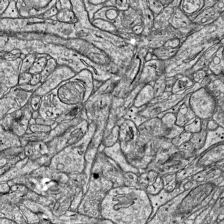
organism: Mouse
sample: Visual Cortex